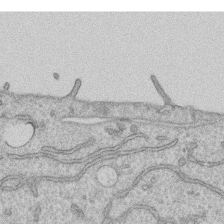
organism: Human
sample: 1205lu cells